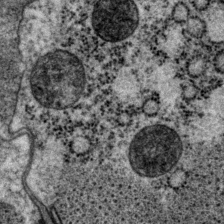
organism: P. pacificus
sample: Pharynx